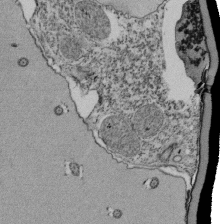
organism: Tetrahymena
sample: Cilia in tetrahymena